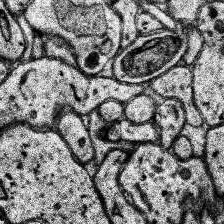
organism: Human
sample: Temporal Lobe